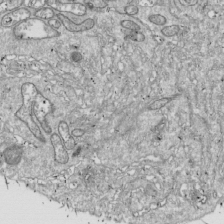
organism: Drosophila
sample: Cell division; meiosis; drosophila spermatocytes